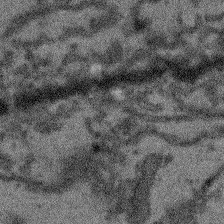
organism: Arabidopsis thaliana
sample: Root tip